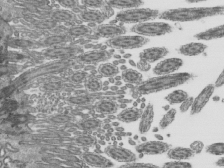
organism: Mouse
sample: Mouse epididymis efferent ductule cilia